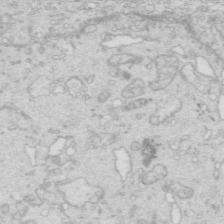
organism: Mouse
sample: Multiciliated cells